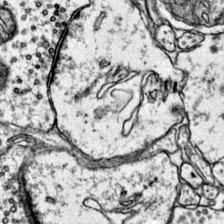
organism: Mouse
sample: Primary visual cortex